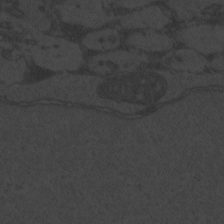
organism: Zebrafish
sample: Macrophage infected with Toxoplasma gondii